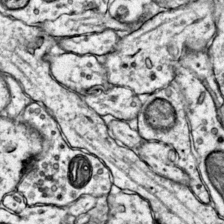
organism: Mouse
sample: Primary visual cortex